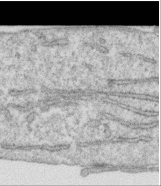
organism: Human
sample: Centriole in RPE cells